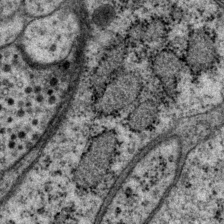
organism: P. pacificus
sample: Pharynx